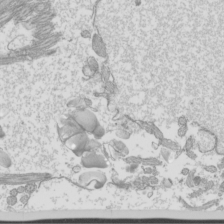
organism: Mouse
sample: Cilia; mouse epididymis